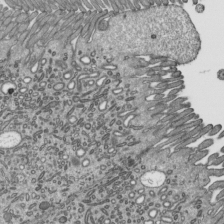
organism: Mouse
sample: Mouse epididymis efferent ductule cilia